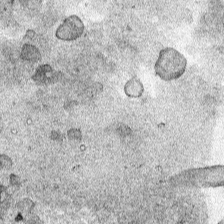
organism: Human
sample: Mitochondria in HCT116 cells